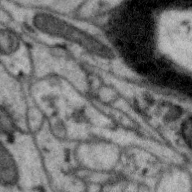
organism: Zebra finch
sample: Brain